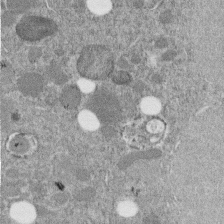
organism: C. elegans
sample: C. elegans embryo early stage